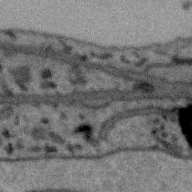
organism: Zebra finch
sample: Brain